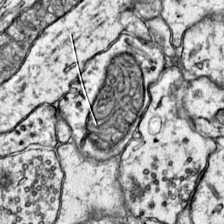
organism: Mouse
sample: Primary visual cortex